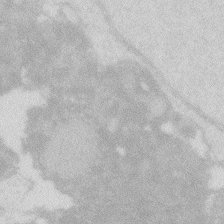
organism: Zebrafish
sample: Macrophage